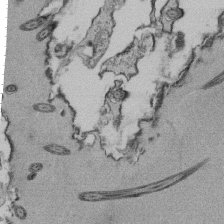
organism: Tetrahymena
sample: Cilia in tetrahymena